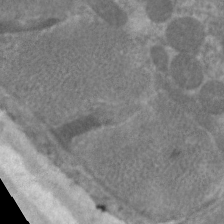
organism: C. elegans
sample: Pharynx